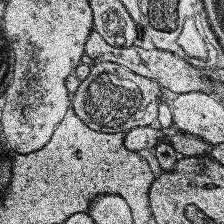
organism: Human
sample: Temporal Lobe